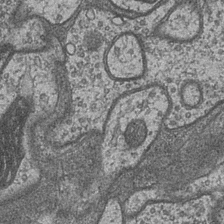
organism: Drosophila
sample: Optic medulla